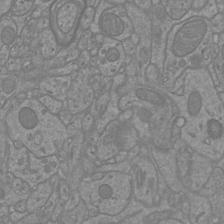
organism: Mouse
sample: Cortical neurons